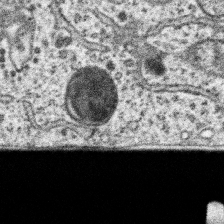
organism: Human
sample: HeLa cells